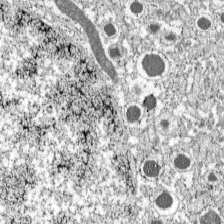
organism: C57BL Mouse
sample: Pancreatic islet